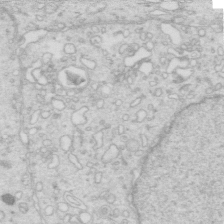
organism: Mouse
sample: Multiciliated cells